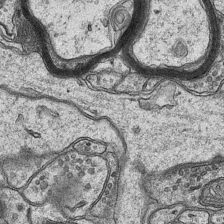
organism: Mouse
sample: CA1 Hippocampus